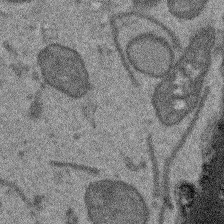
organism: Arabidopsis thaliana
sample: Root tip